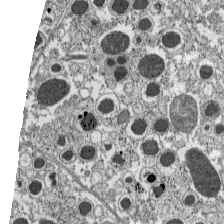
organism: C57BL Mouse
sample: Pancreatic islet